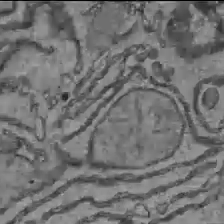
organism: C57BL Mouse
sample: Liver